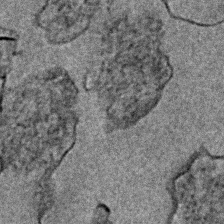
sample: Trachea